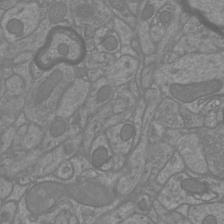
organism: Mouse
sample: Cortical neurons